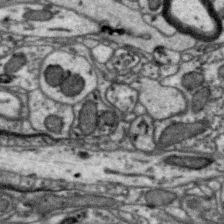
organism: Zebra finch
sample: Brain